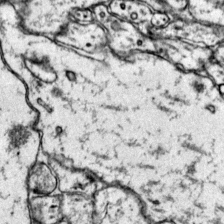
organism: Mouse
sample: Primary visual cortex